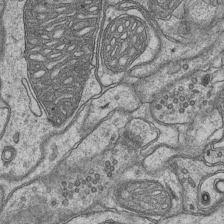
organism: Mouse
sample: CA1 Hippocampus